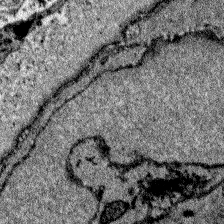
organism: Zebrafish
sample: Larval olfactory bulb